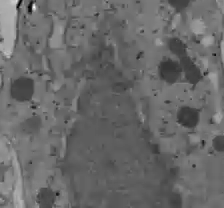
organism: C57BL Mouse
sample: Liver